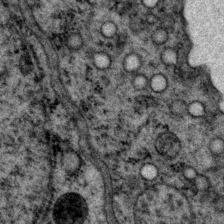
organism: P. pacificus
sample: Pharynx